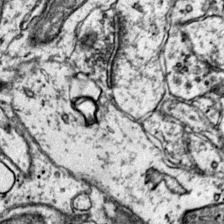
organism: Mouse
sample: Primary visual cortex